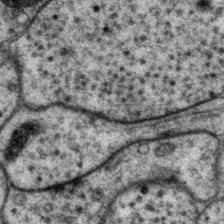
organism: P. pacificus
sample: Pharynx